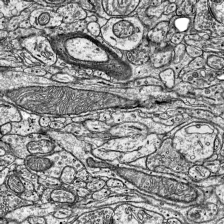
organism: Mouse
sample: Visual Cortex